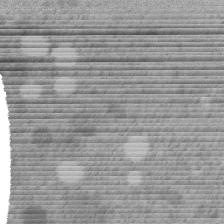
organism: C. elegans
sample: C. elegans embryo early stage